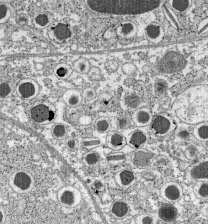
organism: C57BL Mouse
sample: Pancreatic islet